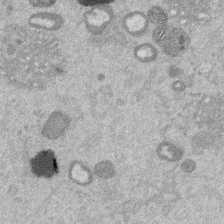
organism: Mouse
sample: Dividing mouse embryo 1 cell stage